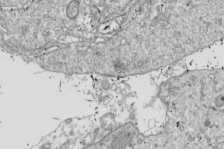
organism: Drosophila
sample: Cell division; meiosis; drosophila spermatocytes